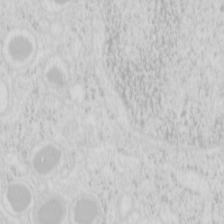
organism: Mouse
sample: Pancreas